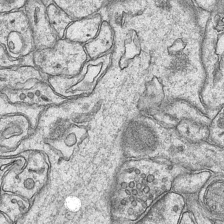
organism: Mouse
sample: CA1 Hippocampus